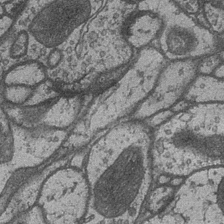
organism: Drosophila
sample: Optic medulla